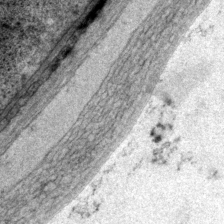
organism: P. pacificus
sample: Pharynx